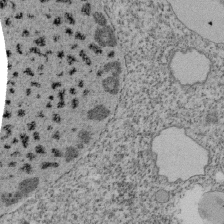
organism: Tetrahymena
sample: Cilia in tetrahymena